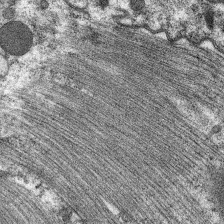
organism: C. elegans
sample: Pharynx